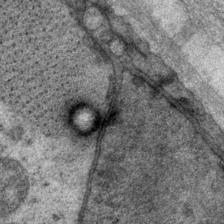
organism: P. pacificus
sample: Pharynx